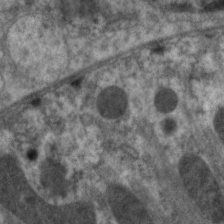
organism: C. elegans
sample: Pharynx